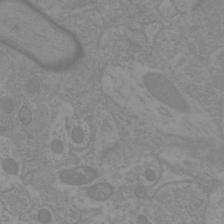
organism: Mouse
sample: Cortical neurons